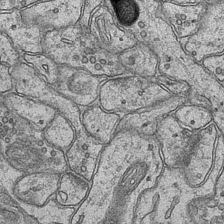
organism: Mouse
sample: CA1 Hippocampus